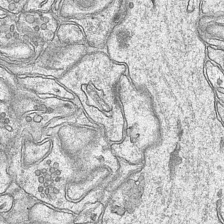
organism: Mouse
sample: CA1 Hippocampus